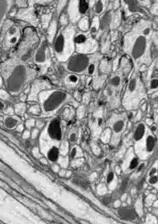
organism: Drosophila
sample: Optic lobe